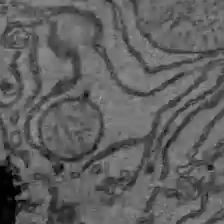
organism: C57BL Mouse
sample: Liver